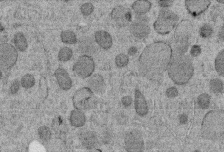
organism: C. elegans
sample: C. elegans embryo early stage